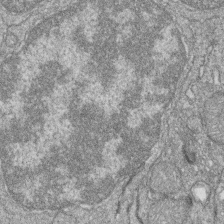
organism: Zebrafish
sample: Cilia; retinal pigment epithelium